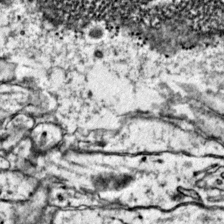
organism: Mouse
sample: Primary visual cortex